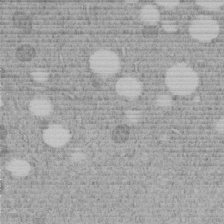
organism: C. elegans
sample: C. elegans embryo early stage